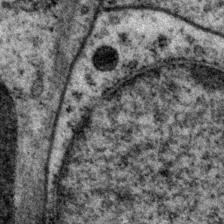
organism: P. pacificus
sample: Pharynx